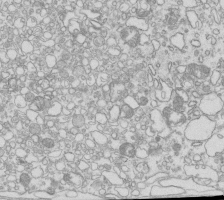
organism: Mouse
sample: Macrophages